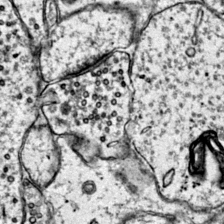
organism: Mouse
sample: Primary visual cortex